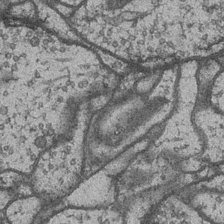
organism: Drosophila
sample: Optic medulla